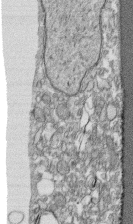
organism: Human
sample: CRL-1474